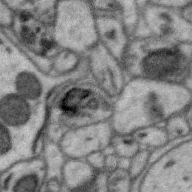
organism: Zebra finch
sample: Brain